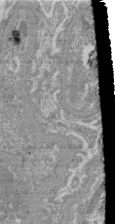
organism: Mouse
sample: Glomerulus